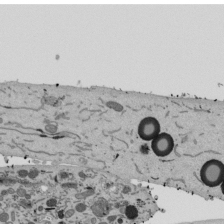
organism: Mouse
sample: ED-1 cell nuclei; centrioles